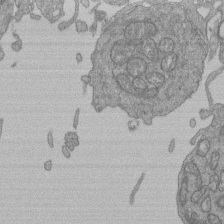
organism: Human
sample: Retinal organoid Rod and Cone cells